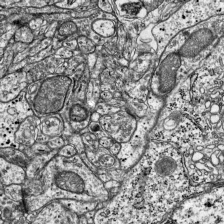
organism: Mouse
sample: Visual Cortex